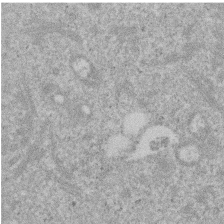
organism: Mouse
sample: Dividing mouse embryo 1 cell stage